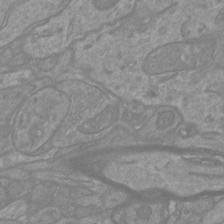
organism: Mouse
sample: Cortical neurons